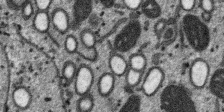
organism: Human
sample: Lung epithelial cells infected with SARS-CoV-2